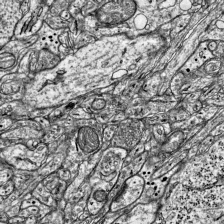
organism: Mouse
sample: Visual Cortex